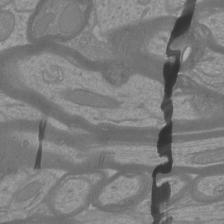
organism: Mouse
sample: Cortical neurons